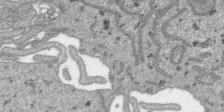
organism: Human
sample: Lung epithelial cells infected with SARS-CoV-2